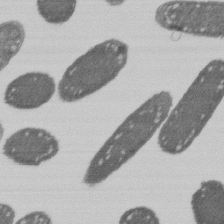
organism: E. coli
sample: Bacterial nucleoid